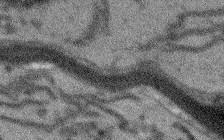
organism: Arabidopsis thaliana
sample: Root tip